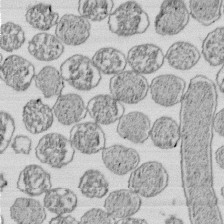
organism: E. coli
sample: Bacterial nucleoid